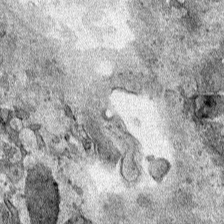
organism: Human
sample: Mitochondria in HCT116 cells